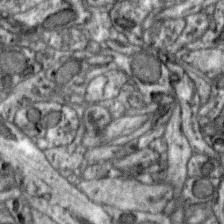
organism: Zebra finch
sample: Brain